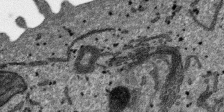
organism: Human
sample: Lung epithelial cells, uninfected (mock) control